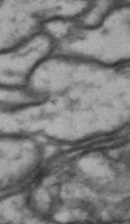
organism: Drosophila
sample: Brain